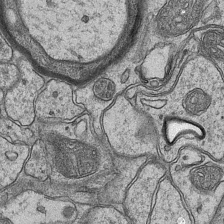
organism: Mouse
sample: CA1 Hippocampus